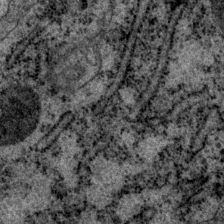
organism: P. pacificus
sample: Pharynx